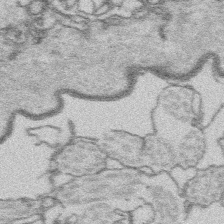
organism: Platynereis dumerilii